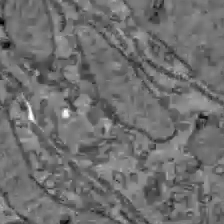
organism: C57BL Mouse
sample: Liver